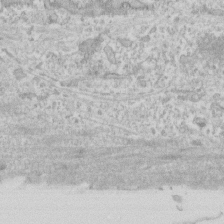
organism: Human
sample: Fibroblast cells